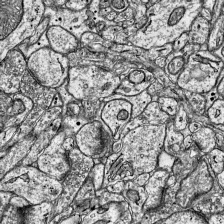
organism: Mouse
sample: Visual Cortex